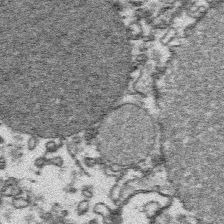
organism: Platynereis dumerilii